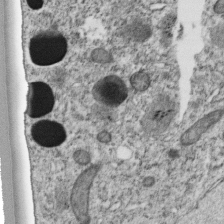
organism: C. elegans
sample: C. elegans embryo early stage